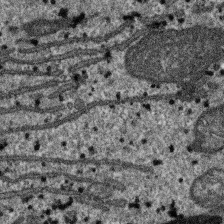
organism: Human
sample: Lung epithelial cells infected with SARS-CoV-2